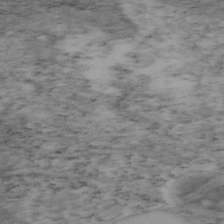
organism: Mouse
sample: OT-I killer T cells with ID8 ovarian cancer cells